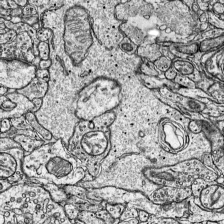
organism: Mouse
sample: Visual Cortex